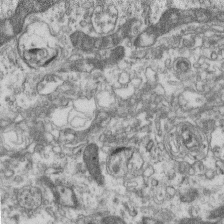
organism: Mouse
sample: Centriole in ependymal cells